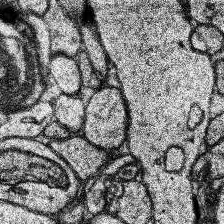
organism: Human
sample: Temporal Lobe